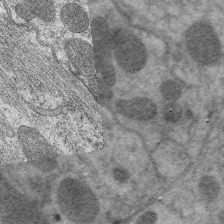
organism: C. elegans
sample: Pharynx